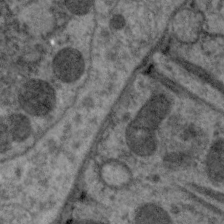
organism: C. elegans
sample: Pharynx